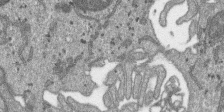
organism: Human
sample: Lung epithelial cells infected with SARS-CoV-2